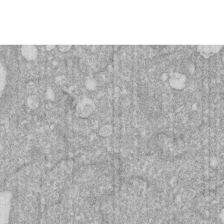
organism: Human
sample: HIV infected U937 cells